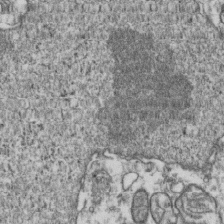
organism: Human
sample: Activated Jurkat CD4+ T cells